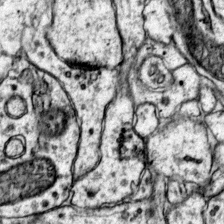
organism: Mouse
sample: Primary visual cortex